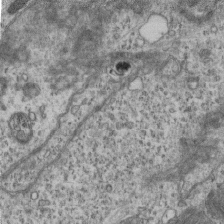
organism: Mouse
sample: Centriole in ependymal cells